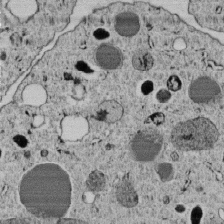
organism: C. elegans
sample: C. elegans embryo early stage